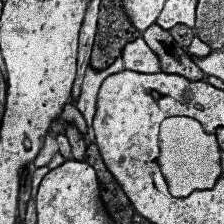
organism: Human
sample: Temporal Lobe